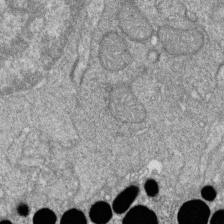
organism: Zebrafish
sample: Cilia; retinal pigment epithelium